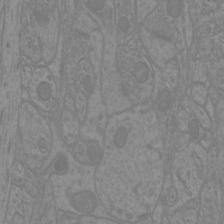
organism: Mouse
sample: Cortical neurons